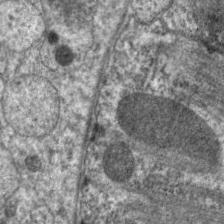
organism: C. elegans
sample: Pharynx